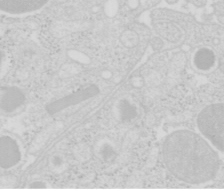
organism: Mouse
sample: Pancreas